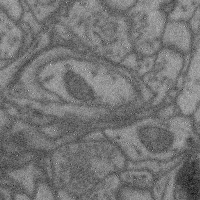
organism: Mouse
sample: Cerebral cortex